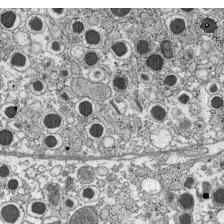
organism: C57BL Mouse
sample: Pancreatic islet